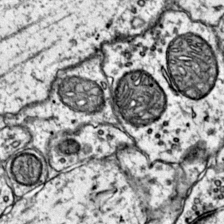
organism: Mouse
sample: Primary visual cortex